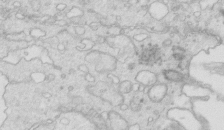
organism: Mouse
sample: Multiciliated cells